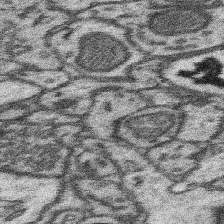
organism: Mouse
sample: Somatosensory cortex neuropil